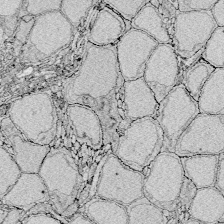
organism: Zebrafish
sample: Whole-Brain